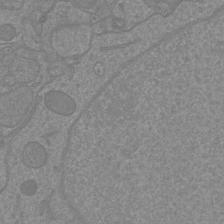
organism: Mouse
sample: Cortical neurons